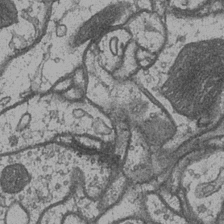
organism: Drosophila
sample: Optic medulla